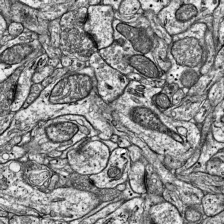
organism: Mouse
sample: Visual Cortex